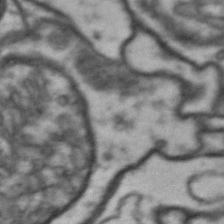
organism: Drosophila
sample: Brain